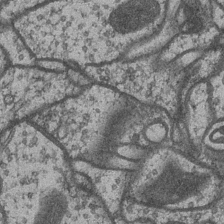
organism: Drosophila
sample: Optic medulla